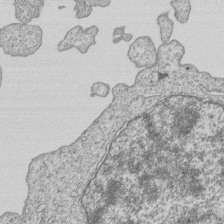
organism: Human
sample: MDA-MB-231 cells